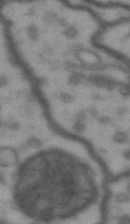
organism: Drosophila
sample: Brain